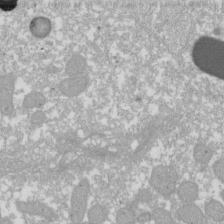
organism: Xenopus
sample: Cilia; centrioles in frog embryo cells